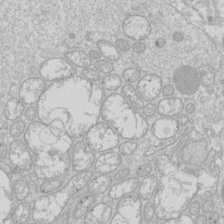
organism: Drosophila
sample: Cell division; meiosis; drosophila spermatocytes